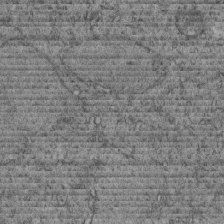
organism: C. elegans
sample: C. elegans embryo early stage